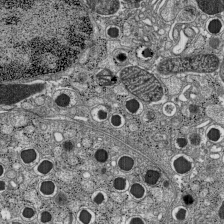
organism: C57BL Mouse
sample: Pancreatic islet